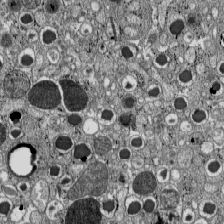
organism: C57BL Mouse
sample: Pancreatic islet